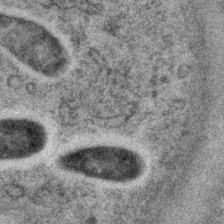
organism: C. elegans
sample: C. elegans embryo